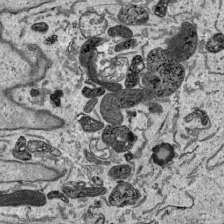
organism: Human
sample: Mitochondria in HCT116 cells